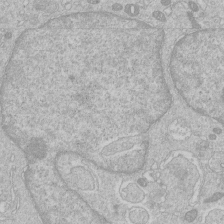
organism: Human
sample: Macrophage cells